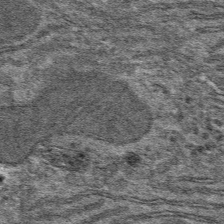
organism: Mouse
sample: Mouse hepatocytes